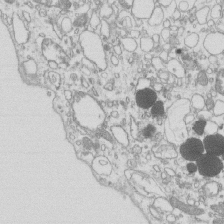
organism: Mouse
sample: Macrophages